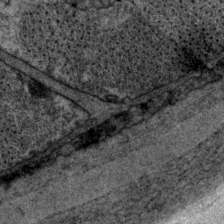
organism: P. pacificus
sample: Pharynx